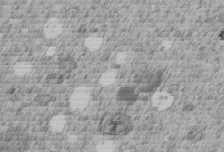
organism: C. elegans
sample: C. elegans embryo early stage